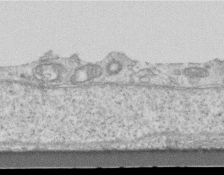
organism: Mouse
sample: Centriole in ependymal cells